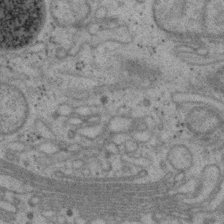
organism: Human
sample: HeLa cells